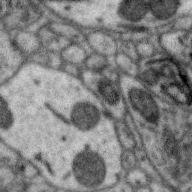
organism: Zebra finch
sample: Brain